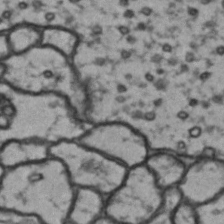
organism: Drosophila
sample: Brain